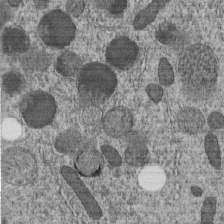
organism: C. elegans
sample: C. elegans embryo early stage